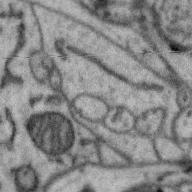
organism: Zebra finch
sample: Brain